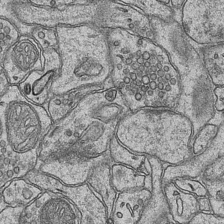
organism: Mouse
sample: CA1 Hippocampus